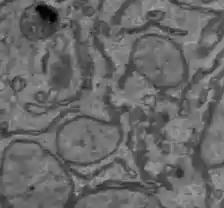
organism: C57BL Mouse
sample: Liver